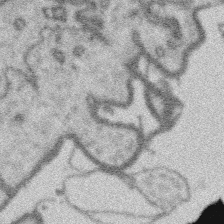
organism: Platynereis dumerilii